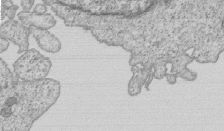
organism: Human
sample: MDA-MB-231 cells